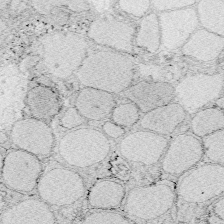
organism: Zebrafish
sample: Whole-Brain